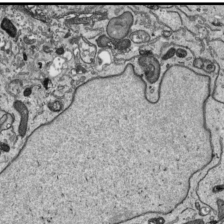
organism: Human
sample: Mitochondria in HCT116 cells